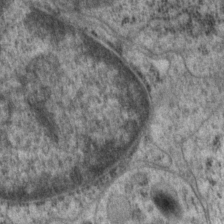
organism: P. pacificus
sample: Pharynx